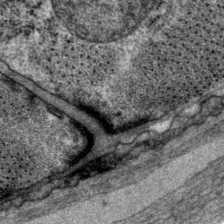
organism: P. pacificus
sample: Pharynx